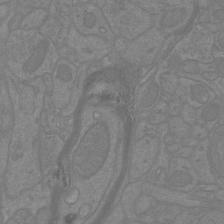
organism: Mouse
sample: Cortical neurons